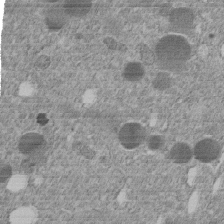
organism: C. elegans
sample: C. elegans embryo early stage